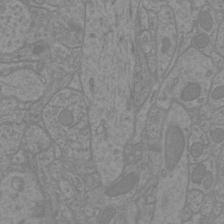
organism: Mouse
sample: Cortical neurons